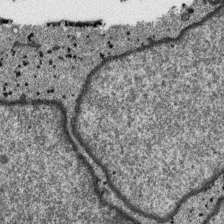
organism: Human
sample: Lung epithelial cells infected with SARS-CoV-2